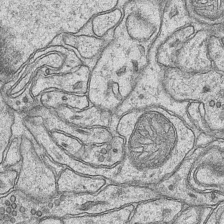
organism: Mouse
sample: CA1 Hippocampus